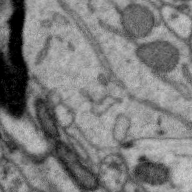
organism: Zebra finch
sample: Brain